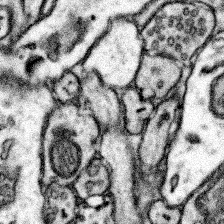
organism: Mouse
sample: Somatosensory cortex neuropil